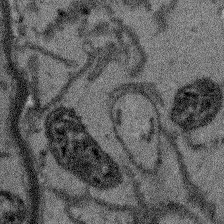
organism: Arabidopsis thaliana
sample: Root tip